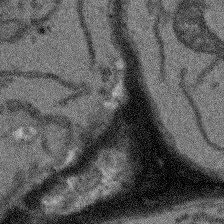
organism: Arabidopsis thaliana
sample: Root tip